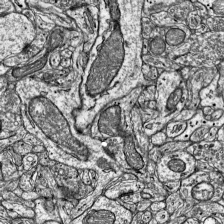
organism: Mouse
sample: Visual Cortex